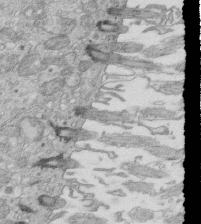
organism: Mouse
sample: Multiciliated cells